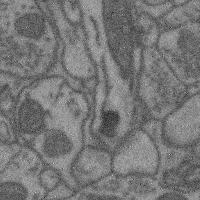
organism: Mouse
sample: Cerebral cortex